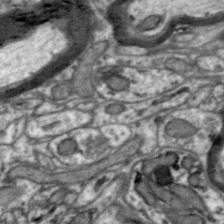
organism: Zebra finch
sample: Brain